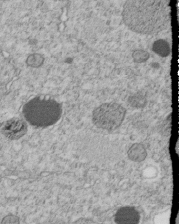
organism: C. elegans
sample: C. elegans embryo early stage